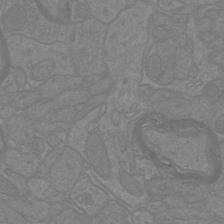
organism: Mouse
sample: Cortical neurons